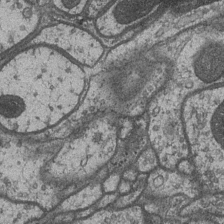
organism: Drosophila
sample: Optic medulla